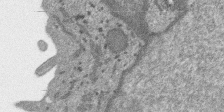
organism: Human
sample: Lung epithelial cells infected with SARS-CoV-2